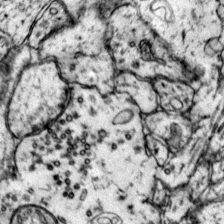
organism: Mouse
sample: Primary visual cortex